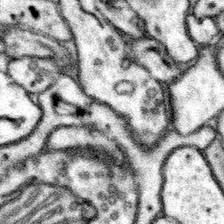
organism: Mouse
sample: Somatosensory cortex neuropil